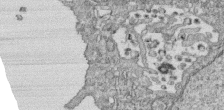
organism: Human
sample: HeLa cell HIV synapse